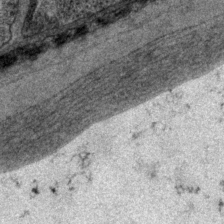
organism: P. pacificus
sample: Pharynx